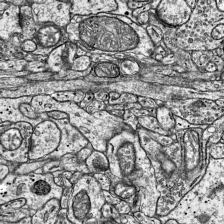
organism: Mouse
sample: Visual Cortex